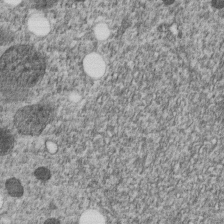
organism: C. elegans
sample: C. elegans embryo early stage